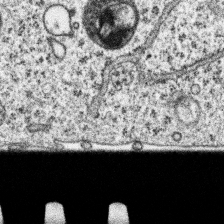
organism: Human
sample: HeLa cells